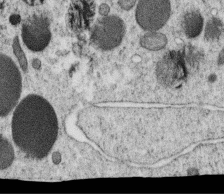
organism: C. elegans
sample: C. elegans oocyte; sperm cells